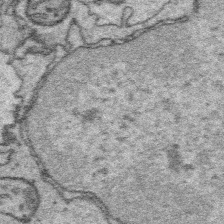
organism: Platynereis dumerilii